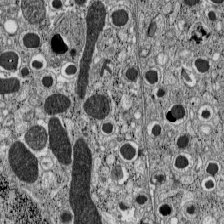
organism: C57BL Mouse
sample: Pancreatic islet